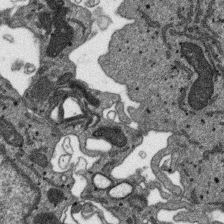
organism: Human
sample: Lung epithelial cells infected with SARS-CoV-2